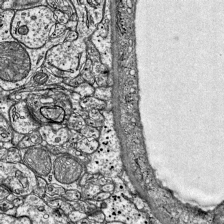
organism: Mouse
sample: Visual Cortex